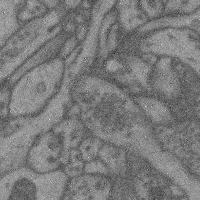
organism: Mouse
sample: Cerebral cortex